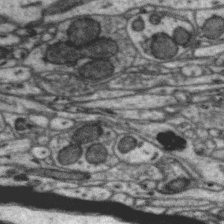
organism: Zebra finch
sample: Brain